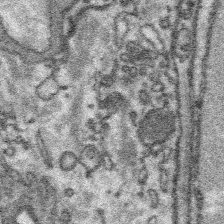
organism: Platynereis dumerilii